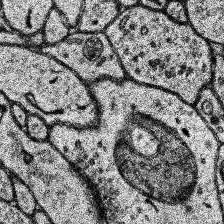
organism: Human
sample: Temporal Lobe